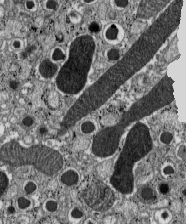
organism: C57BL Mouse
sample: Pancreatic islet